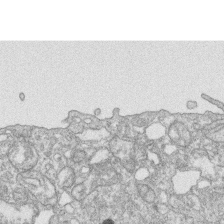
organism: Human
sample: HeLa cell HIV synapse